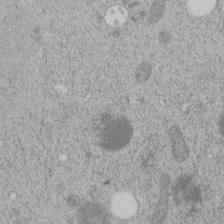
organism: C. elegans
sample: C. elegans embryo early stage